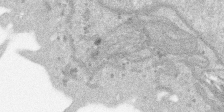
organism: Human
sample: Lung epithelial cells infected with SARS-CoV-2